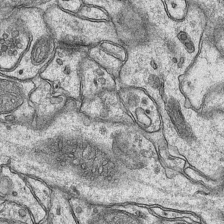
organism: Mouse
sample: CA1 Hippocampus